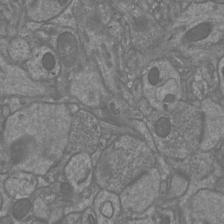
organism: Mouse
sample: Cortical neurons